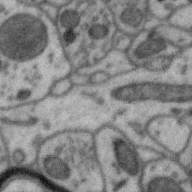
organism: Zebra finch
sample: Brain